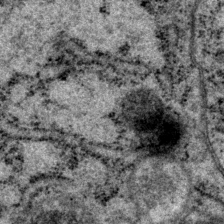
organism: P. pacificus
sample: Pharynx